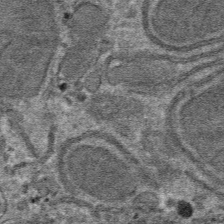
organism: Mouse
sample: Mouse hepatocytes